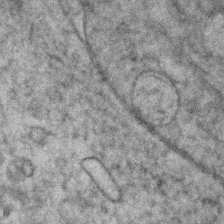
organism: Human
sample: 1205lu cells